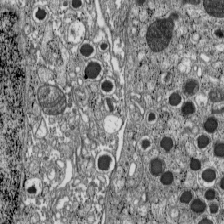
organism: C57BL Mouse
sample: Pancreatic islet